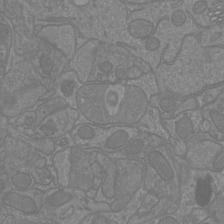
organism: Mouse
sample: Cortical neurons